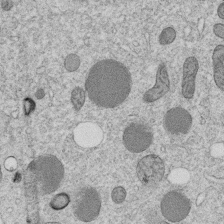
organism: C. elegans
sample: C. elegans embryo early stage